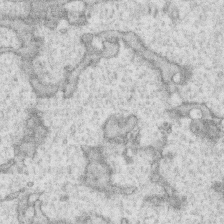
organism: Human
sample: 1205lu cells